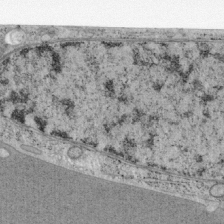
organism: Human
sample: HeLa cells